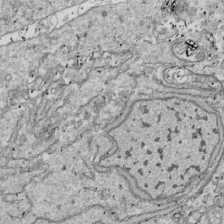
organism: Drosophila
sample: Cell division; meiosis; drosophila spermatocytes